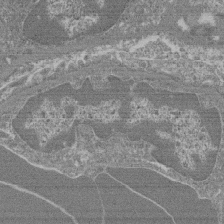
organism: Mouse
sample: Glomerulus